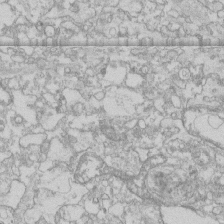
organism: Human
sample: CRL-1474